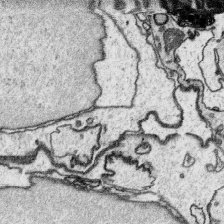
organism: Platynereis dumerilii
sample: Parapodia